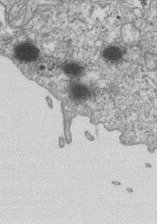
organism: Human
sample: HeLa cell HIV synapse